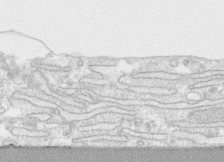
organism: Human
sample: CRL-1474